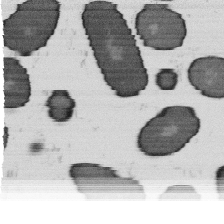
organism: B. subtilis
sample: Bacterial spore